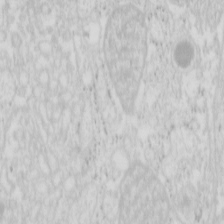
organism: Mouse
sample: Pancreas